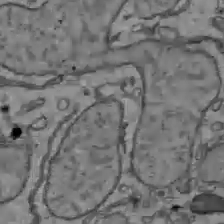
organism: C57BL Mouse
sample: Liver